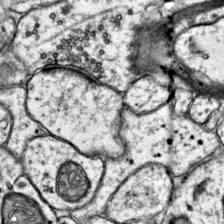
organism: Mouse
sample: Primary visual cortex